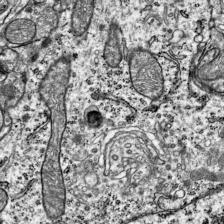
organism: Mouse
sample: Visual Cortex